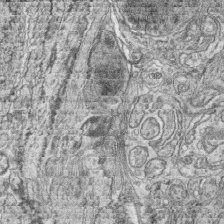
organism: Zebrafish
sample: synaptic ribbons in rod cells and cone cells